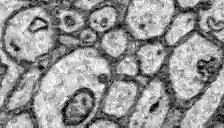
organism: Zebrafish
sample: Brain